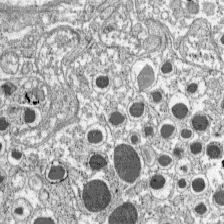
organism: C57BL Mouse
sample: Pancreatic islet